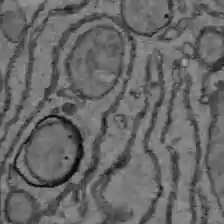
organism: C57BL Mouse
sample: Liver